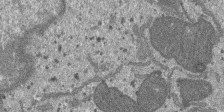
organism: Human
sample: Lung epithelial cells infected with SARS-CoV-2